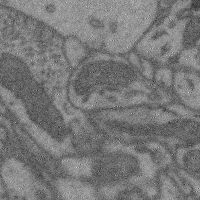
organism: Mouse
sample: Cerebral cortex